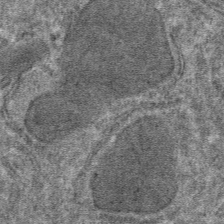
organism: Mouse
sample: Mouse hepatocytes